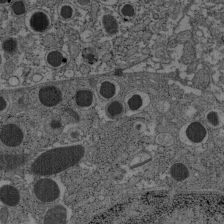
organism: C57BL Mouse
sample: Pancreatic islet